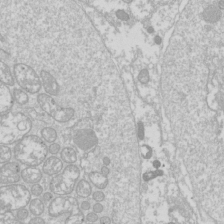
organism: Drosophila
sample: Cell division; meiosis; drosophila spermatocytes